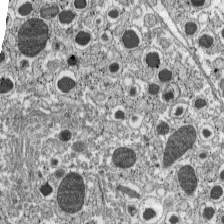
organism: C57BL Mouse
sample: Pancreatic islet